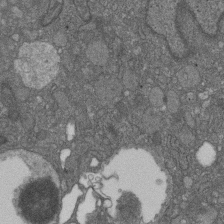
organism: Drosophila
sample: Nephrocyte